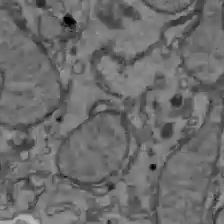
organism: C57BL Mouse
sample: Liver